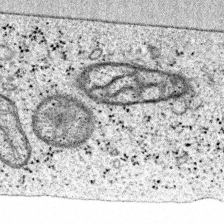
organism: Human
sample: HeLa cells